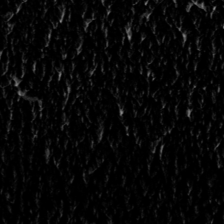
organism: Toxoplasma gondii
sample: Parasites in a vacuole inside a host cell